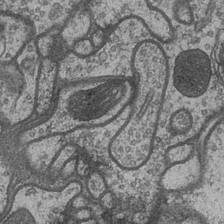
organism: Drosophila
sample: Optic medulla